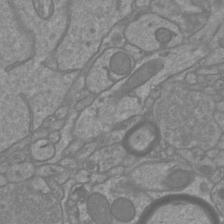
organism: Mouse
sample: Cortical neurons